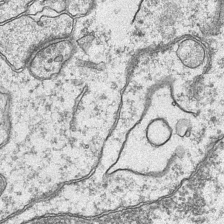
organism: Mouse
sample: CA1 Hippocampus